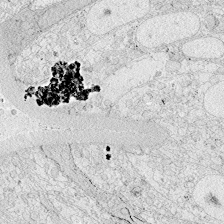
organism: Zebrafish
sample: Whole-Brain